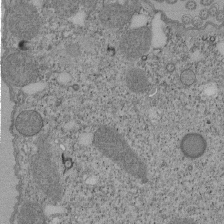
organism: Tetrahymena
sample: Cilia in tetrahymena